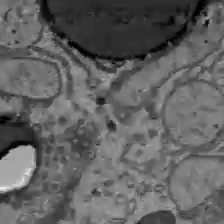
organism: C57BL Mouse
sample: Liver